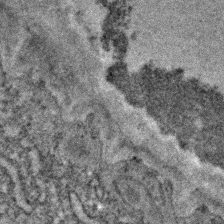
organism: C. elegans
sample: C. elegans embryo